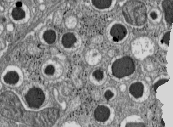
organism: C57BL Mouse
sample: Pancreatic islet